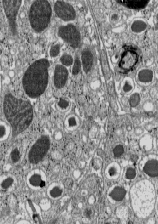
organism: C57BL Mouse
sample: Pancreatic islet